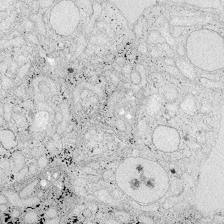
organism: Zebrafish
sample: Whole-Brain